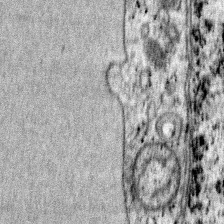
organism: Human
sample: HeLa cells